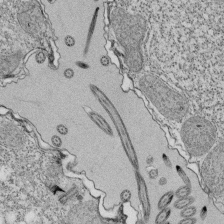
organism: Tetrahymena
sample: Cilia in tetrahymena